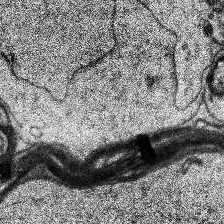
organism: Human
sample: Temporal Lobe